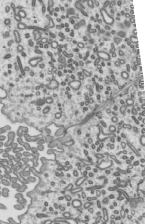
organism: Mouse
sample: Mouse epididymis efferent ductule cilia